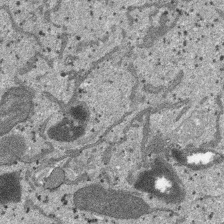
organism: Human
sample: Lung epithelial cells infected with SARS-CoV-2